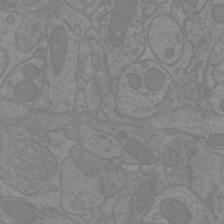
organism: Mouse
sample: Cortical neurons